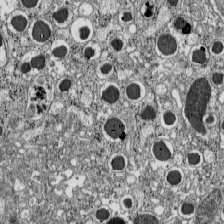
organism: C57BL Mouse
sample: Pancreatic islet